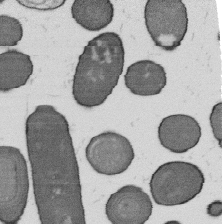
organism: B. subtilis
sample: Bacterial spore